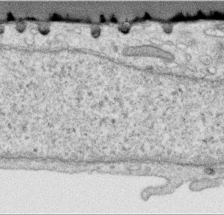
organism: Human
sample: Centriole in RPE cells